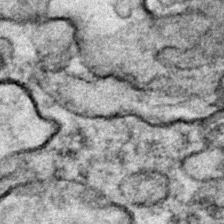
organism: Zebrafish